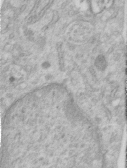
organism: Human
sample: Centriole in RPE cells